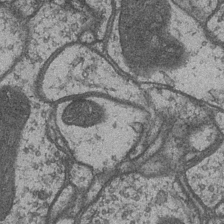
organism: Drosophila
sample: Optic medulla